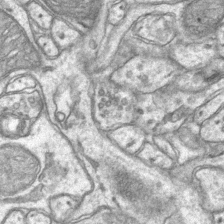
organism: Mouse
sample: CA1 Hippocampus